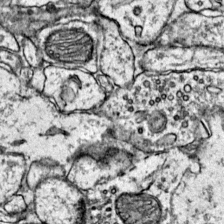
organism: Mouse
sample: Primary visual cortex